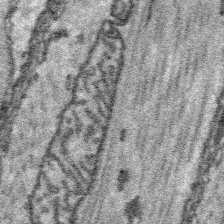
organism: Platynereis dumerilii